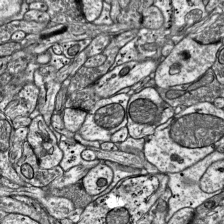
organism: Mouse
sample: Visual Cortex